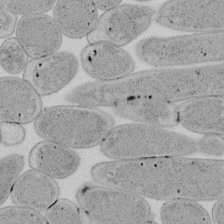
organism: E. coli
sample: Bacterial nucleoid